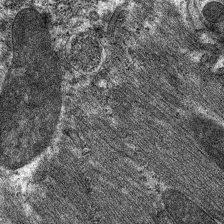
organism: C. elegans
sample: Pharynx